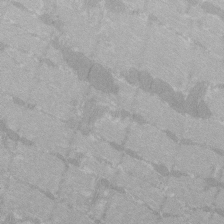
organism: C57BL Mouse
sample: Tibialis anterior muscle cell